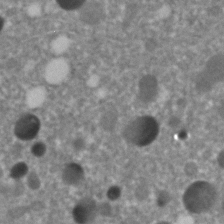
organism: C. elegans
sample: C. elegans embryo